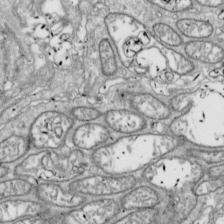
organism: Drosophila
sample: Cell division; meiosis; drosophila spermatocytes